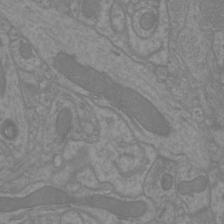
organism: Mouse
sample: Cortical neurons